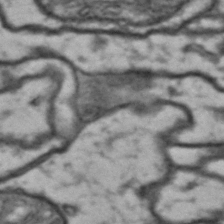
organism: Drosophila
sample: Brain